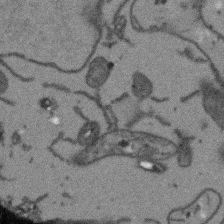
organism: Arabidopsis thaliana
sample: Root tip